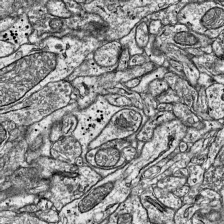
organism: Mouse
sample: Visual Cortex